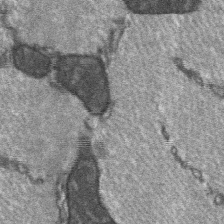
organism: C57BL Mouse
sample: Soleus